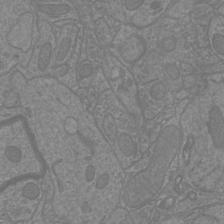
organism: Mouse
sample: Cortical neurons